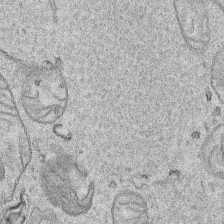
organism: Human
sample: Mitochondria in HCT116 cells